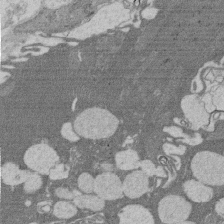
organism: Rat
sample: Salivary granule